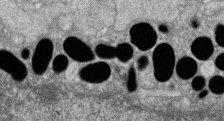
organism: Zebrafish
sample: Cilia; retinal pigment epithelium